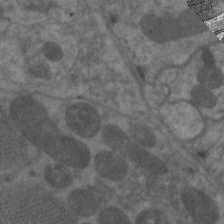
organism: C. elegans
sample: Pharynx